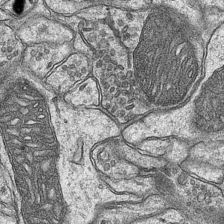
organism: Mouse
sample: CA1 Hippocampus